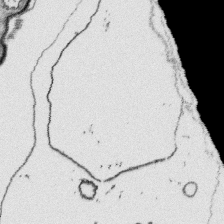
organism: Platynereis dumerilii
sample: Parapodia